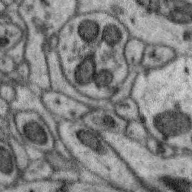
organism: Zebra finch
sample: Brain